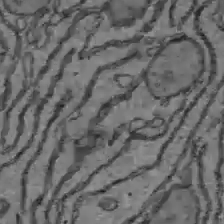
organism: C57BL Mouse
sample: Liver